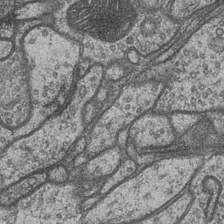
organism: Drosophila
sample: Optic medulla